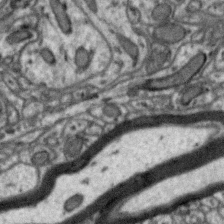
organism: Zebra finch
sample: Brain